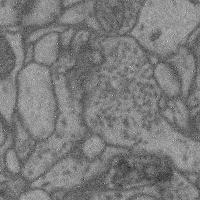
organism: Mouse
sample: Cerebral cortex